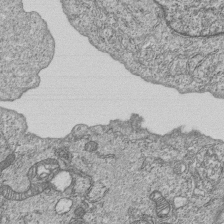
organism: Human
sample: MDA-MB-231 cells